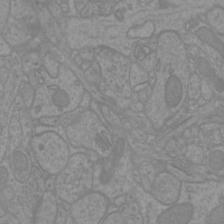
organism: Mouse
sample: Cortical neurons